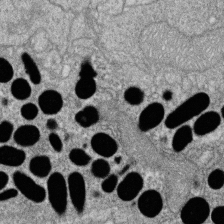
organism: Zebrafish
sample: Cilia; retinal pigment epithelium